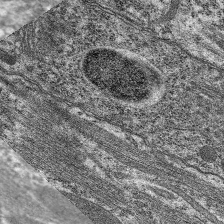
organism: C. elegans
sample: Pharynx